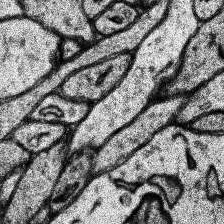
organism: Human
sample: Temporal Lobe